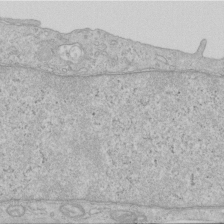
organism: Human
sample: Centriole in RPE cells